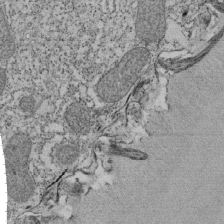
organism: Tetrahymena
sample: Cilia in tetrahymena